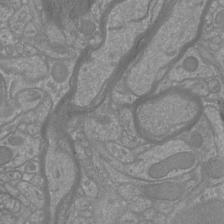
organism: Mouse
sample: Cortical neurons